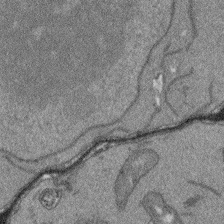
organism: Arabidopsis thaliana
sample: Root tip